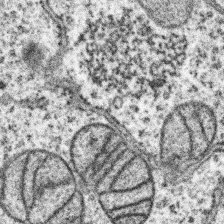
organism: Human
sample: HeLa cells